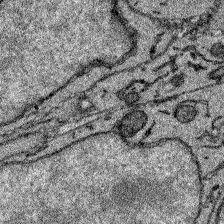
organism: Zebrafish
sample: Larval olfactory bulb